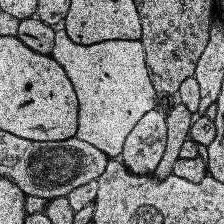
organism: Human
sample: Temporal Lobe